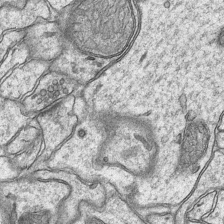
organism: Mouse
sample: CA1 Hippocampus